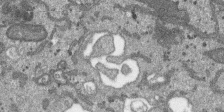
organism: Human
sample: Lung epithelial cells infected with SARS-CoV-2